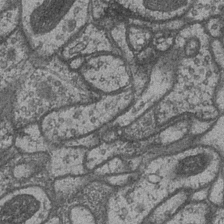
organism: Drosophila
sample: Optic medulla